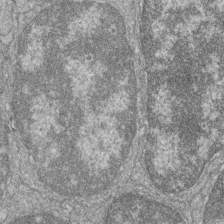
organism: Zebrafish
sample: Cilia; retinal pigment epithelium